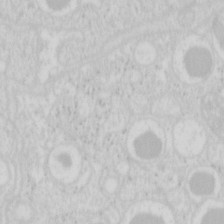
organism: Mouse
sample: Pancreas